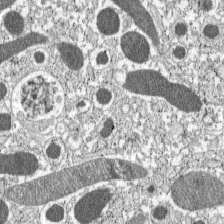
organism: C57BL Mouse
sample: Pancreatic islet